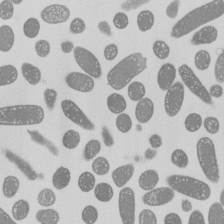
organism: E. coli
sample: Bacterial nucleoid